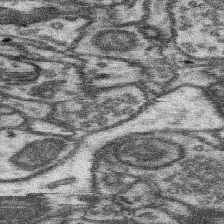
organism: Mouse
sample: Somatosensory cortex neuropil